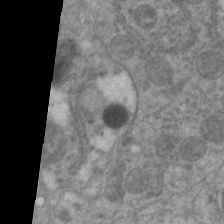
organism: C. elegans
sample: Pharynx